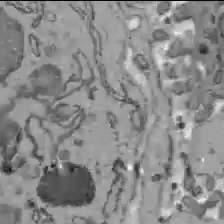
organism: C57BL Mouse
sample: Liver